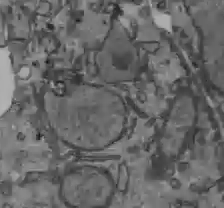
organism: C57BL Mouse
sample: Liver